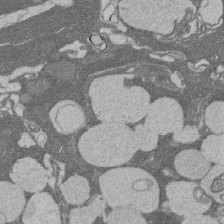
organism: Rat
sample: Salivary granule